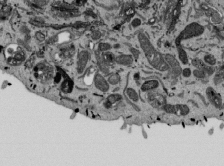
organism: Mouse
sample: ED-1 cell nuclei; centrioles